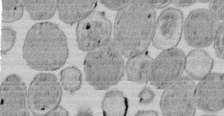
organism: E. coli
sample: Bacterial nucleoid